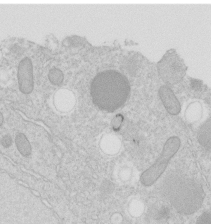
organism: C. elegans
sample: C. elegans embryo early stage